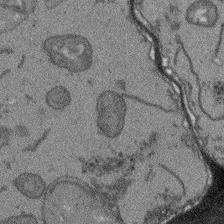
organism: Arabidopsis thaliana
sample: Root tip